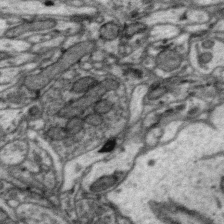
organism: Zebra finch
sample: Brain